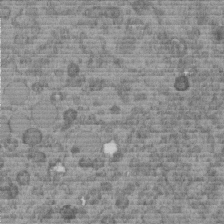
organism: C. elegans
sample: C. elegans embryo early stage